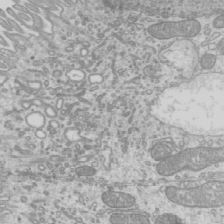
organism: Mouse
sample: Cilia; mouse epididymis